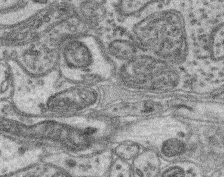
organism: Mouse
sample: Retina